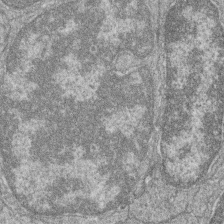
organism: Zebrafish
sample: Cilia; retinal pigment epithelium